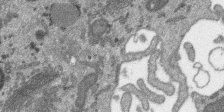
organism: Human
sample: Lung epithelial cells infected with SARS-CoV-2